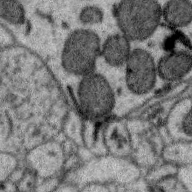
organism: Zebra finch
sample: Brain